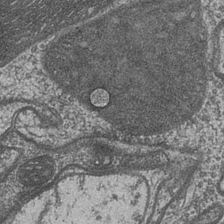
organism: Drosophila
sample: Optic medulla